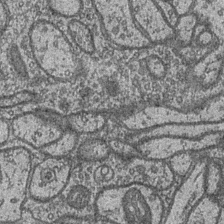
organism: Drosophila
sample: Optic medulla